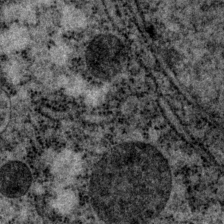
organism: P. pacificus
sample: Pharynx